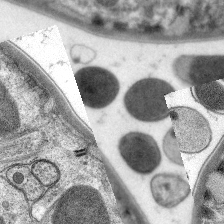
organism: C. elegans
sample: Pharynx